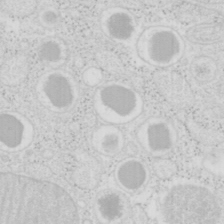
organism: Mouse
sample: Pancreas